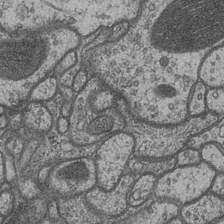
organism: Drosophila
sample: Optic medulla